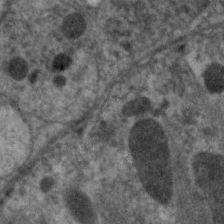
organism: C. elegans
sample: Pharynx